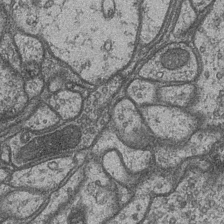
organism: Drosophila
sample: Optic medulla